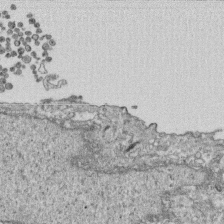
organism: Human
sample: HeLa cell HIV synapse